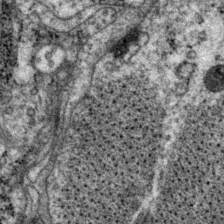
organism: P. pacificus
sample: Pharynx